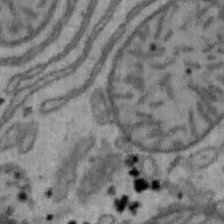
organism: Mouse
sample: Liver